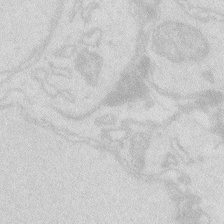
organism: Zebrafish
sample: Macrophage